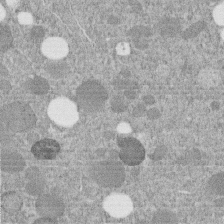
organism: C. elegans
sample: C. elegans embryo early stage